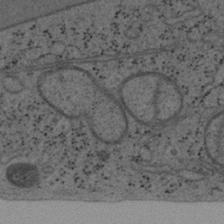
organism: Human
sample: HeLa cells